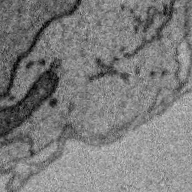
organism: Zebra finch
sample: Brain